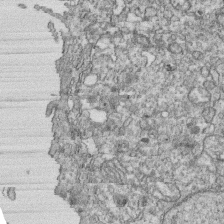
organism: Human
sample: HeLa cell HIV synapse